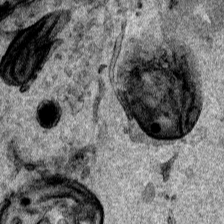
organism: Human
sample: Mitochondria in HCT116 cells